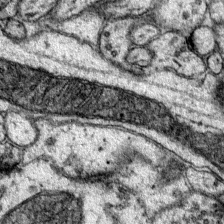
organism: Mouse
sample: Primary visual cortex